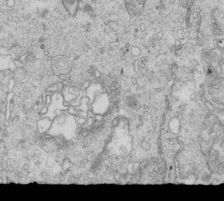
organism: Mouse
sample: Multiciliated cells